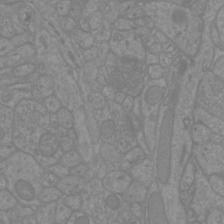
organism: Mouse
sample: Cortical neurons